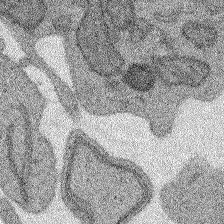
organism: Human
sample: HeLa cells